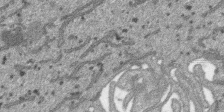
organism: Human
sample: Lung epithelial cells infected with SARS-CoV-2